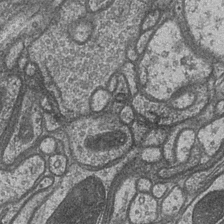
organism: Drosophila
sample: Optic medulla